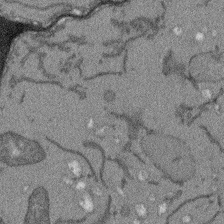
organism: Arabidopsis thaliana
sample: Root tip